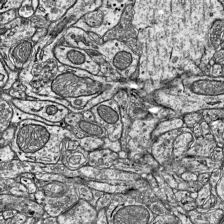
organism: Mouse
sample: Visual Cortex